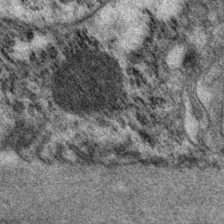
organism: P. pacificus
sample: Pharynx